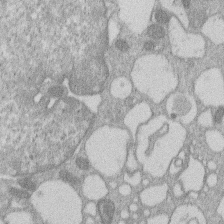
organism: Human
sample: Macrophage cells